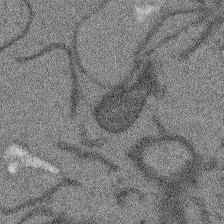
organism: Arabidopsis thaliana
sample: Root tip